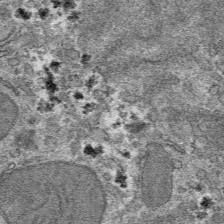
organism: Mouse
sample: Mouse hepatocytes